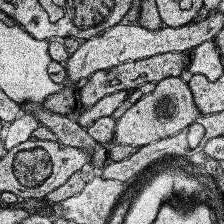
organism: Human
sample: Temporal Lobe